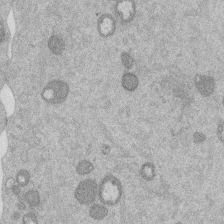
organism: Mouse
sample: Dividing mouse embryo 1 cell stage